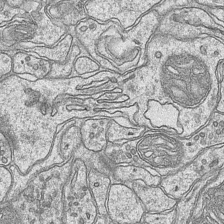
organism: Mouse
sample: CA1 Hippocampus